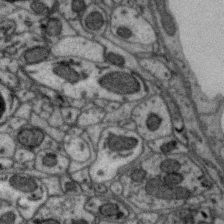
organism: Zebra finch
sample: Brain